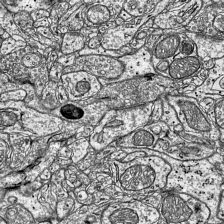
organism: Mouse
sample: Visual Cortex